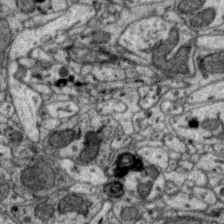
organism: Zebra finch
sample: Brain